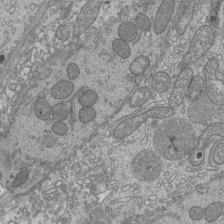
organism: Mouse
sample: Cilia; mouse epididymis